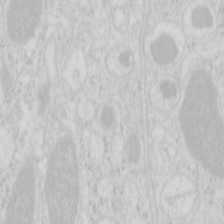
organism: Mouse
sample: Pancreas